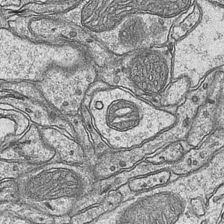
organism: Mouse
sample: CA1 Hippocampus